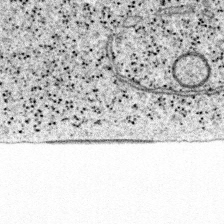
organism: Human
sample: HeLa cells